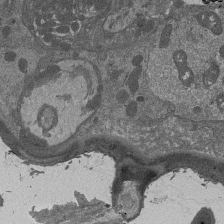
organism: Drosophila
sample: Antenna